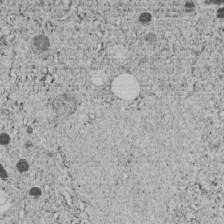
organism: C. elegans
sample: C. elegans embryo early stage